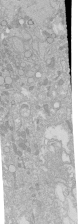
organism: Human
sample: Caco-2 cells